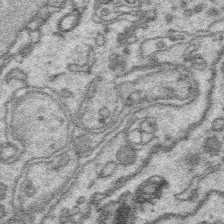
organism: Platynereis dumerilii